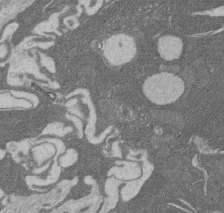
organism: Rat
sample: Salivary granule